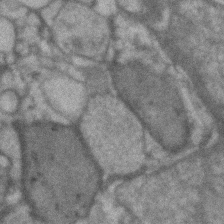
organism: Human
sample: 1205lu cells